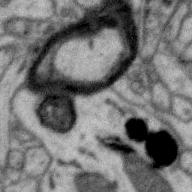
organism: Zebra finch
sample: Brain